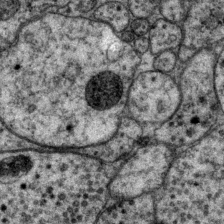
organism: P. pacificus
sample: Pharynx